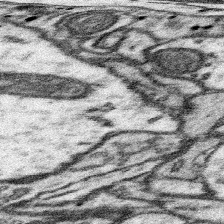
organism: Mouse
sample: Somatosensory cortex neuropil